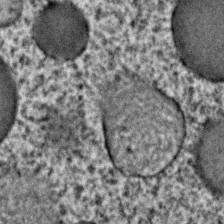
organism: C. elegans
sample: C. elegans embryo